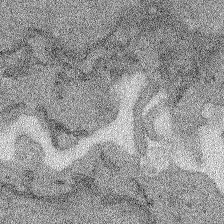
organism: Human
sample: HeLa cells